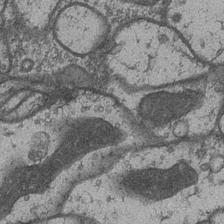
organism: Drosophila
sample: Optic medulla